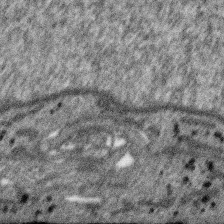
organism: Human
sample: Lung epithelial cells infected with SARS-CoV-2